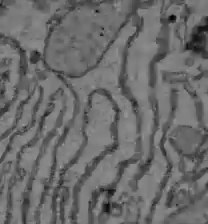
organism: C57BL Mouse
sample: Liver